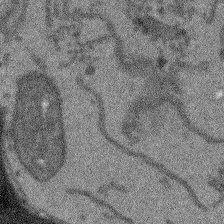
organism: Arabidopsis thaliana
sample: Root tip